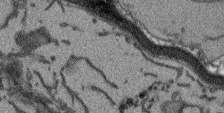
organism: Arabidopsis thaliana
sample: Root tip